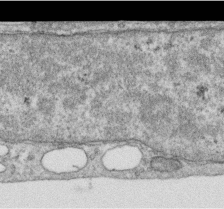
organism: Human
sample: Centriole in RPE cells